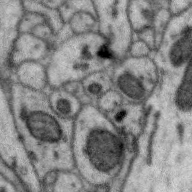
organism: Zebra finch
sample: Brain